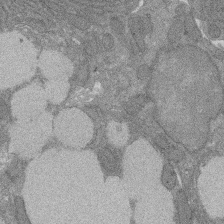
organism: Rat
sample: Salivary granule